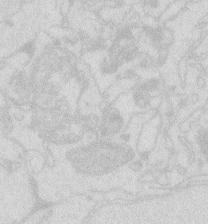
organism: Zebrafish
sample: Macrophage